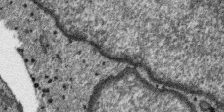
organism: Human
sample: Lung epithelial cells infected with SARS-CoV-2